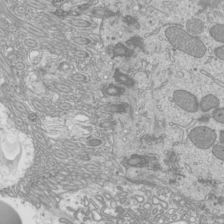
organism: Mouse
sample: Cilia; mouse epididymis